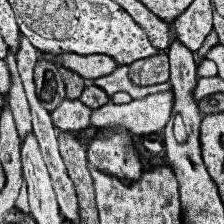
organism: Human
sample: Temporal Lobe